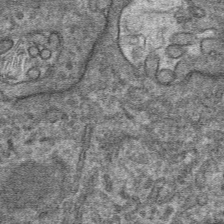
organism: Mouse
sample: Mouse hepatocytes